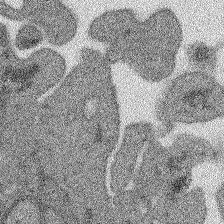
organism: Human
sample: HeLa cells